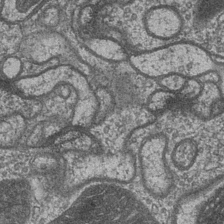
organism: Drosophila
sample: Optic medulla